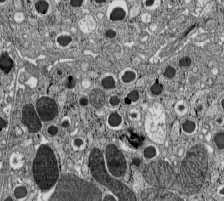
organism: C57BL Mouse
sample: Pancreatic islet